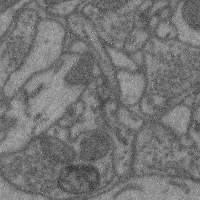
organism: Mouse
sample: Cerebral cortex